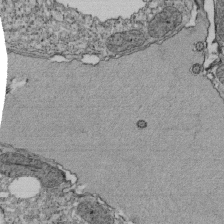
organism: Tetrahymena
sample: Cilia in tetrahymena